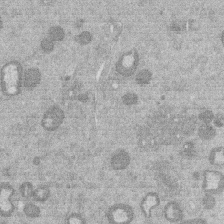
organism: Mouse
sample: Dividing mouse embryo 1 cell stage